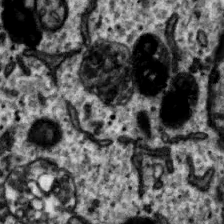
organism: Human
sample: HeLa cells